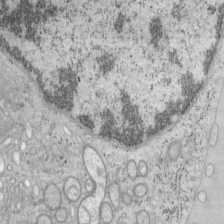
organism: Mouse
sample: OT-I killer T cells with ID8 ovarian cancer cells